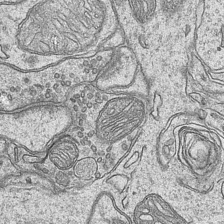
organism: Mouse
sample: CA1 Hippocampus